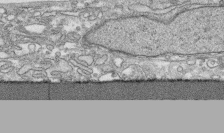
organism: Human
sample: CRL-1474